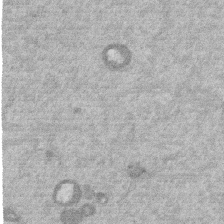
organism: Mouse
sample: Dividing mouse embryo 1 cell stage